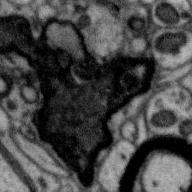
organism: Zebra finch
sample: Brain